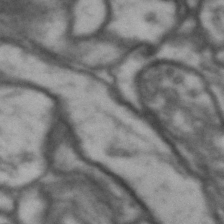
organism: Drosophila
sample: Brain